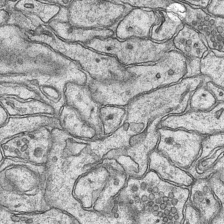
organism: Mouse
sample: CA1 Hippocampus